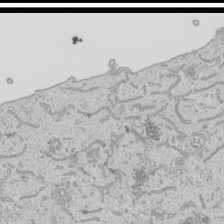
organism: Human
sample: Mitochondria in HCT116 cells